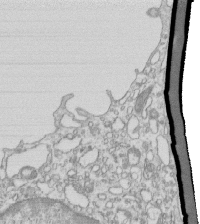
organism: Mouse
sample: Macrophages